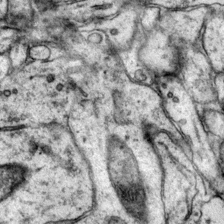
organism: Mouse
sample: Primary visual cortex